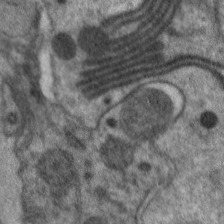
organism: C. elegans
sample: Pharynx